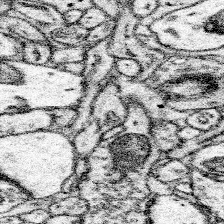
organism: Mouse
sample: Somatosensory cortex neuropil